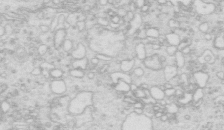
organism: Mouse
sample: Multiciliated cells